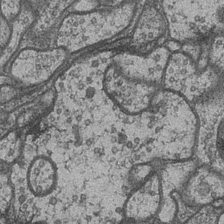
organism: Drosophila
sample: Optic medulla